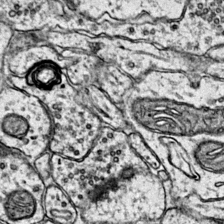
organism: Mouse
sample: Primary visual cortex